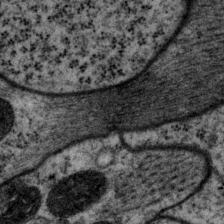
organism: P. pacificus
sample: Pharynx